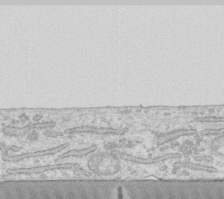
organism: Human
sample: Fibroblast cells